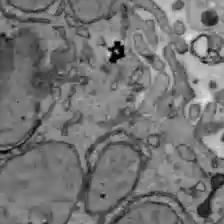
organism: C57BL Mouse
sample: Liver